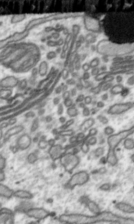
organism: Toxoplasma gondii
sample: Parasites in a vacuole inside a host cell